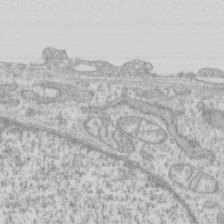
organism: Human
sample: CRL-1474